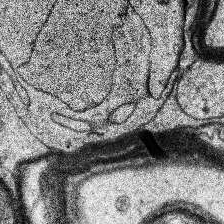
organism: Human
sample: Temporal Lobe